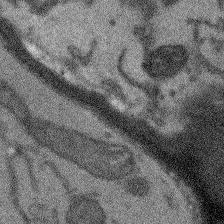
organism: Arabidopsis thaliana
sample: Root tip